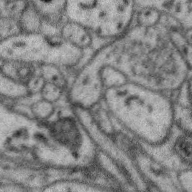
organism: Zebra finch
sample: Brain